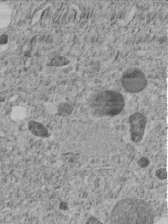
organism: C. elegans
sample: C. elegans embryo early stage